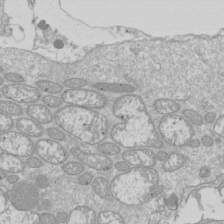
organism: Drosophila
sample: Cell division; meiosis; drosophila spermatocytes